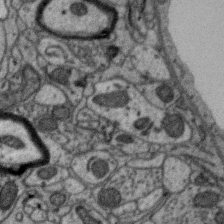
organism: Zebra finch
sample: Brain